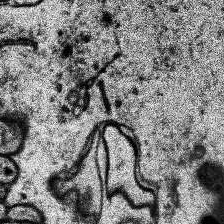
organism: Human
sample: Temporal Lobe